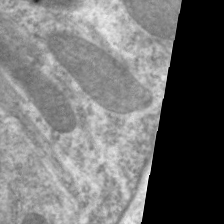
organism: C. elegans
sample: Pharynx